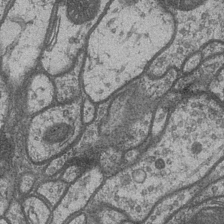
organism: Drosophila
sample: Optic medulla